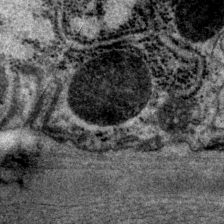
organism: P. pacificus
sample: Pharynx